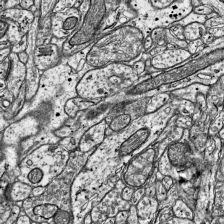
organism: Mouse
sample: Visual Cortex